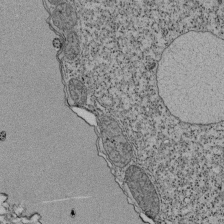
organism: Tetrahymena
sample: Cilia in tetrahymena